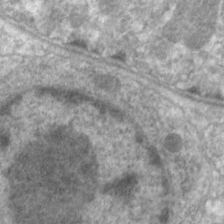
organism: C. elegans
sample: Pharynx